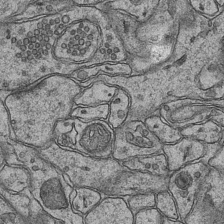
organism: Mouse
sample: CA1 Hippocampus